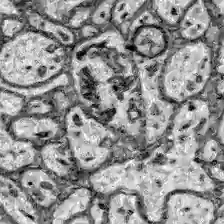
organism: Zebrafish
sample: Brain